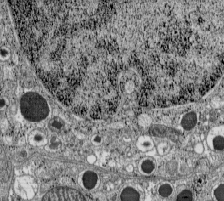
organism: C57BL Mouse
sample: Pancreatic islet